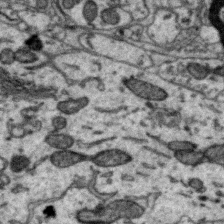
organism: Zebra finch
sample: Brain